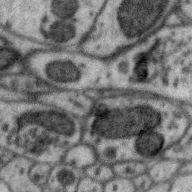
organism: Zebra finch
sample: Brain